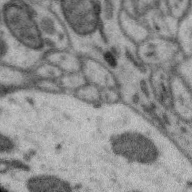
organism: Zebra finch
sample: Brain